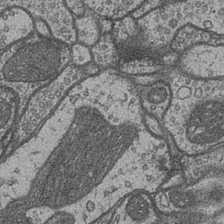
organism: Drosophila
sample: Optic medulla